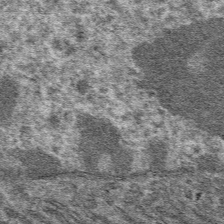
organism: Mouse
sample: Mouse hepatocytes